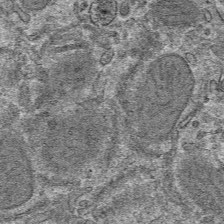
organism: Mouse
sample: Mouse hepatocytes